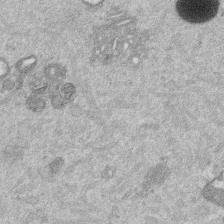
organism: Mouse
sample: Dividing mouse embryo 1 cell stage